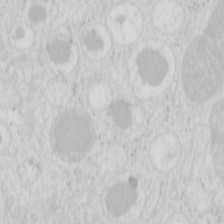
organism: Mouse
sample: Pancreas